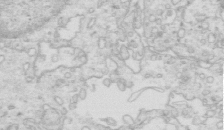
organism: Mouse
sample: Multiciliated cells